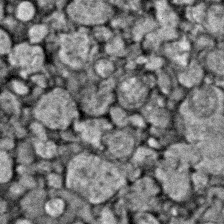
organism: Zebrafish